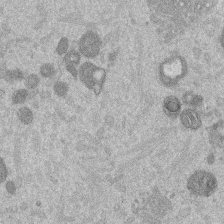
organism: Mouse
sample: Dividing mouse embryo 1 cell stage